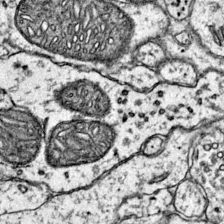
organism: Mouse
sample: Primary visual cortex